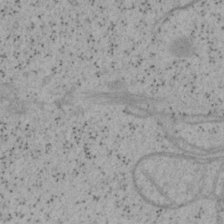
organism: Human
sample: HeLa cells